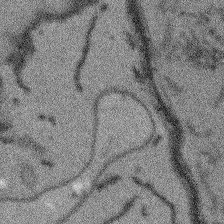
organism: Arabidopsis thaliana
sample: Root tip